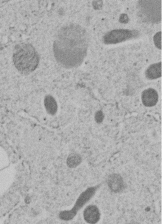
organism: C. elegans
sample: C. elegans embryo early stage